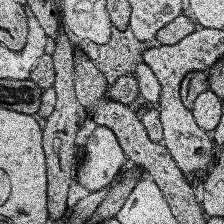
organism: Human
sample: Temporal Lobe